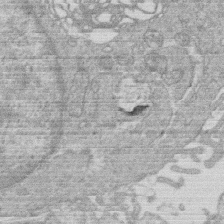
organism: Human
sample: Macrophage cells